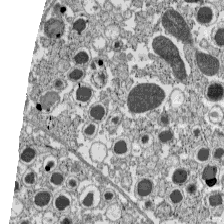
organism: C57BL Mouse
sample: Pancreatic islet